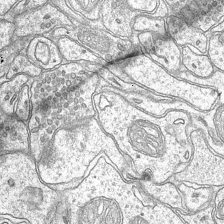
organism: Mouse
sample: CA1 Hippocampus